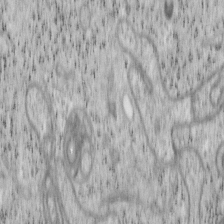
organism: Human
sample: HeLa cells